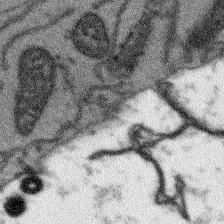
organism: Arabidopsis thaliana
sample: Root tip